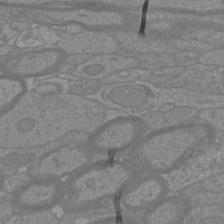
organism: Mouse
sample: Cortical neurons